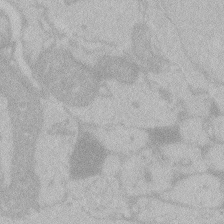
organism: Zebrafish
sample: Macrophage infected with Toxoplasma gondii